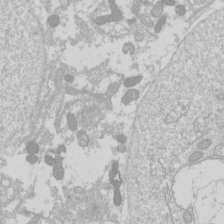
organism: Drosophila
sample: Cell division; meiosis; drosophila spermatocytes